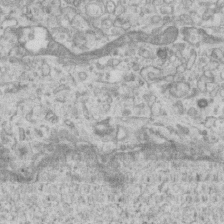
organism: Mouse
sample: Centriole in ependymal cells